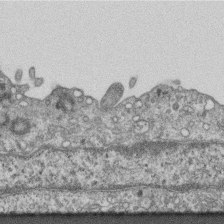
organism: Mouse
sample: Centriole in ependymal cells